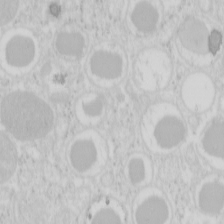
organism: Mouse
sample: Pancreas